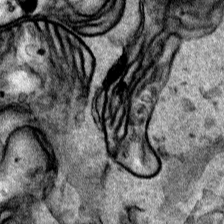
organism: Human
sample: Mitochondria in HCT116 cells